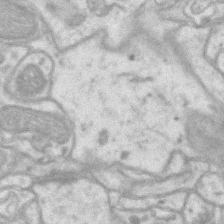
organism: Mouse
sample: CA1 Hippocampus